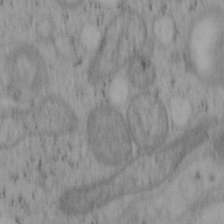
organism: Mouse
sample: OT-I killer T cells with ID8 ovarian cancer cells